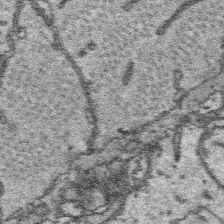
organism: Platynereis dumerilii